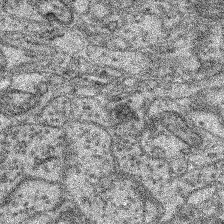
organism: Mouse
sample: Retina